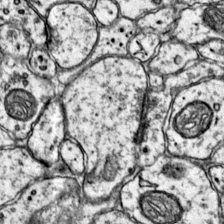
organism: Mouse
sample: Primary visual cortex